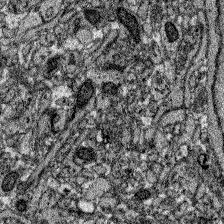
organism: Zebrafish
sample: Larval olfactory bulb